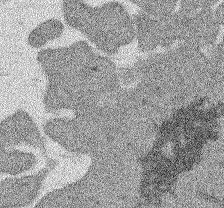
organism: Human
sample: HeLa cells